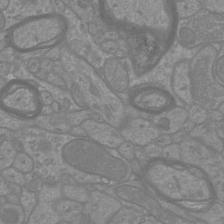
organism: Mouse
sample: Cortical neurons